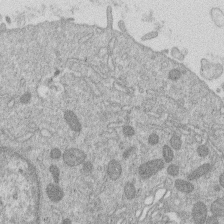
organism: Human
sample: Macrophage cells